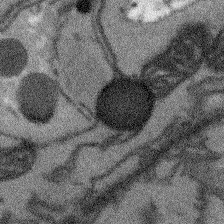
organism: Arabidopsis thaliana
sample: Root tip